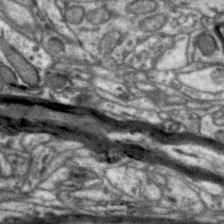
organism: Zebra finch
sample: Brain